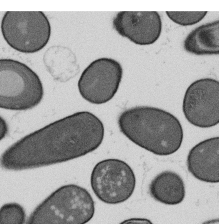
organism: B. subtilis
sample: Bacterial spore